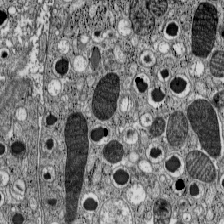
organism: C57BL Mouse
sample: Pancreatic islet